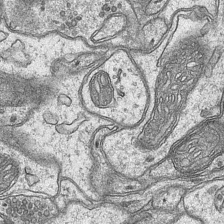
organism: Mouse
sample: CA1 Hippocampus